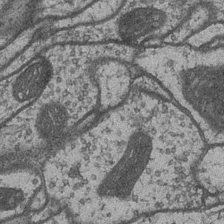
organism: Drosophila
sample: Optic medulla